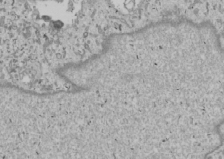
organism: Human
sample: Mitochondria in U2OS cells